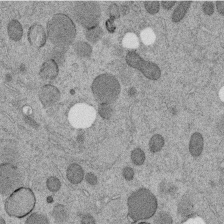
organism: C. elegans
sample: C. elegans embryo early stage